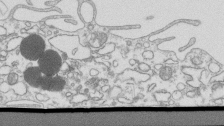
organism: Mouse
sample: Macrophages